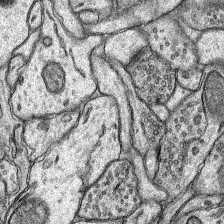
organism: Rat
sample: Hippocampus